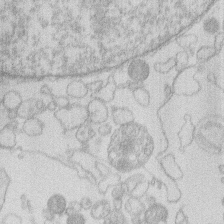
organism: Human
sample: Macrophage cells